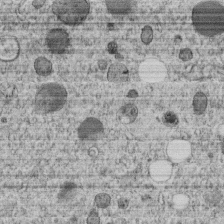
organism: C. elegans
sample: C. elegans embryo early stage